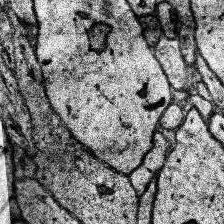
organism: Human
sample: Temporal Lobe